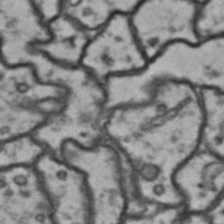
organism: Drosophila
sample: Brain